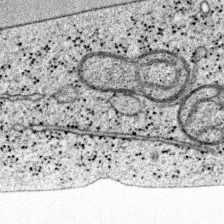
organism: Human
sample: HeLa cells